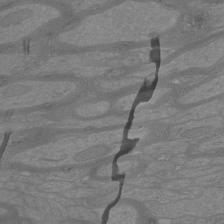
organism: Mouse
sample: Cortical neurons